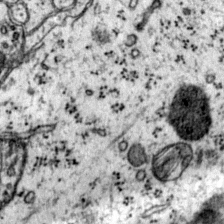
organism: Mouse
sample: Primary visual cortex